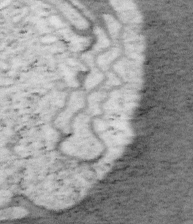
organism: Mouse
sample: OT-I killer T cells with ID8 ovarian cancer cells